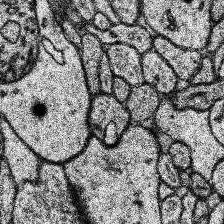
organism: Human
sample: Temporal Lobe